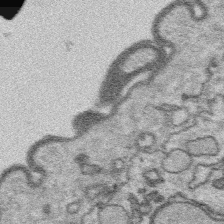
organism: Platynereis dumerilii